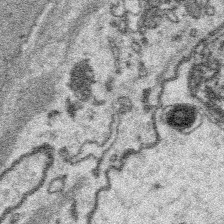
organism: Platynereis dumerilii